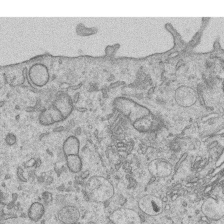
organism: Human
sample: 1205lu cells